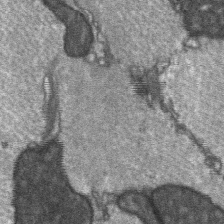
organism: C57BL Mouse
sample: Soleus